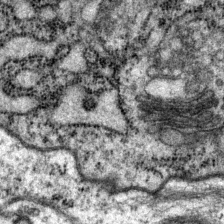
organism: P. pacificus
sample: Pharynx